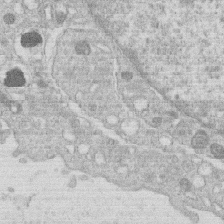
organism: Human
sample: Macrophage cells